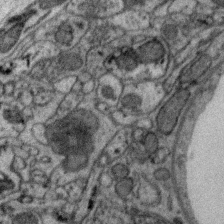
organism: Zebra finch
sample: Brain